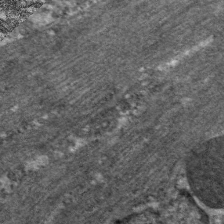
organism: C. elegans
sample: Pharynx